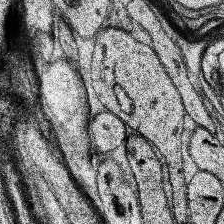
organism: Human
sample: Temporal Lobe